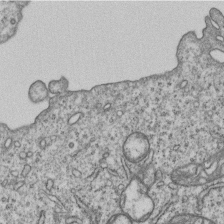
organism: Human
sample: MDA-MB-231 cells